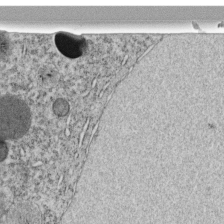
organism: C. elegans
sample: C. elegans embryo early stage